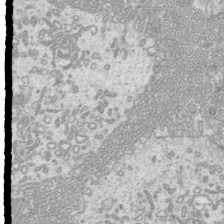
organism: Mouse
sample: Cilia; mouse epididymis